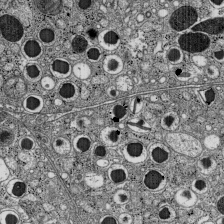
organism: C57BL Mouse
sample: Pancreatic islet